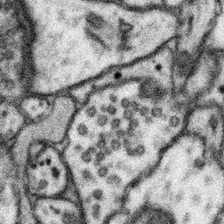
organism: Mouse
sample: Somatosensory cortex neuropil